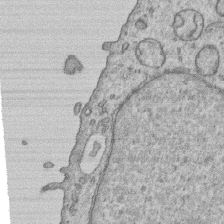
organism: Human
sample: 1205lu cells